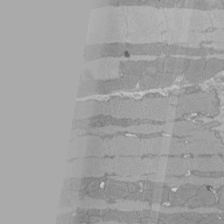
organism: Rat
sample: Left ventricle